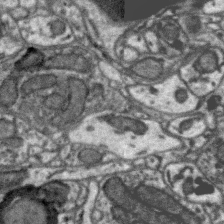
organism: Zebra finch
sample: Brain